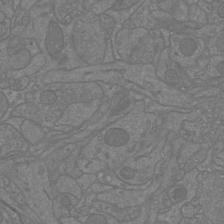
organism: Mouse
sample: Cortical neurons